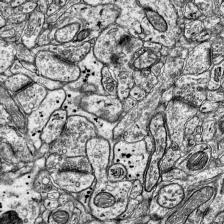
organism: Mouse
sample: Visual Cortex